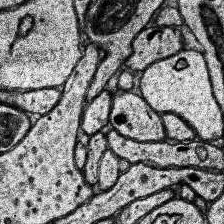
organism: Human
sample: Temporal Lobe